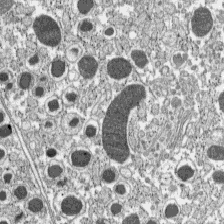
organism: C57BL Mouse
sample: Pancreatic islet